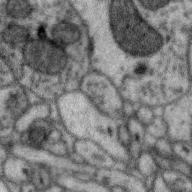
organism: Zebra finch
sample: Brain